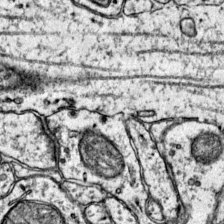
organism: Mouse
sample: Primary visual cortex